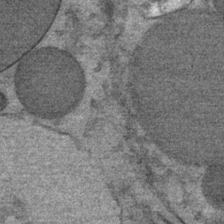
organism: Mouse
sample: Mouse Salivary gland